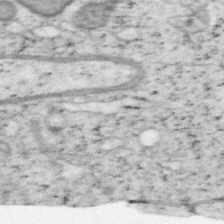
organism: Mouse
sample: OT-I killer T cells with ID8 ovarian cancer cells